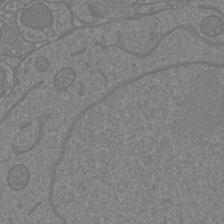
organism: Mouse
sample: Cortical neurons